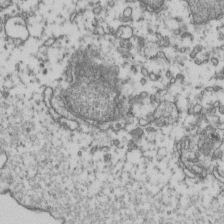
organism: Human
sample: Activated Jurkat CD4+ T cells